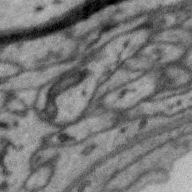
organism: Zebra finch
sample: Brain